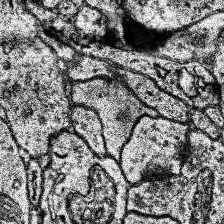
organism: Human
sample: Temporal Lobe